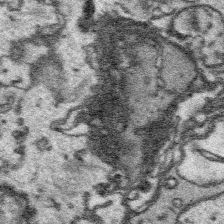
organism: Platynereis dumerilii